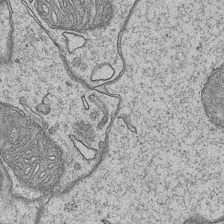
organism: Mouse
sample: CA1 Hippocampus